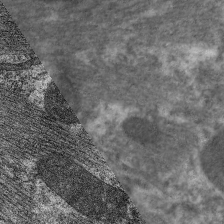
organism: C. elegans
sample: Pharynx